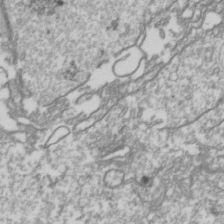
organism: Drosophila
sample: Cell division; meiosis; drosophila spermatocytes